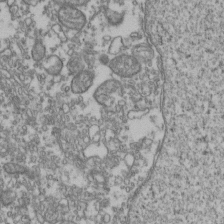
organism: Human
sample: Activated Jurkat CD4+ T cells